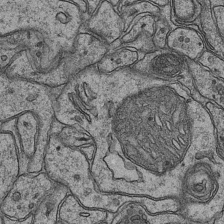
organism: Mouse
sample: CA1 Hippocampus